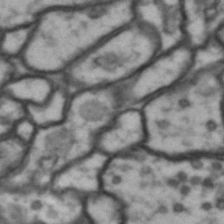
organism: Drosophila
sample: Brain